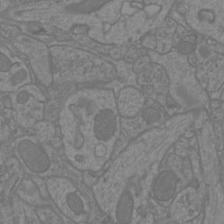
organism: Mouse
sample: Cortical neurons